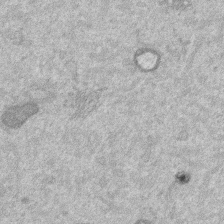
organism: Mouse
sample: Dividing mouse embryo 1 cell stage